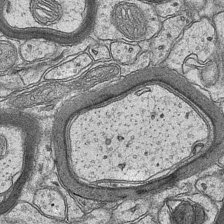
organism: Mouse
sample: CA1 Hippocampus